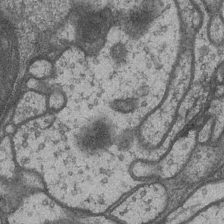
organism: Drosophila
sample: Optic medulla